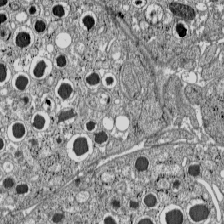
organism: C57BL Mouse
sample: Pancreatic islet